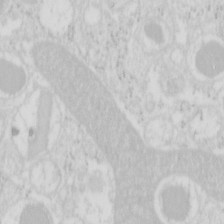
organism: Mouse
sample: Pancreas